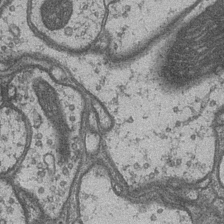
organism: Drosophila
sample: Optic medulla